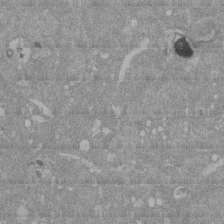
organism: Mouse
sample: ED-1 cell nuclei; centrioles